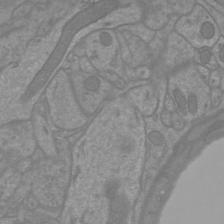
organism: Mouse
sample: Cortical neurons